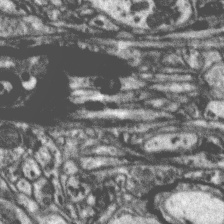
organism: Zebra finch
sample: Brain